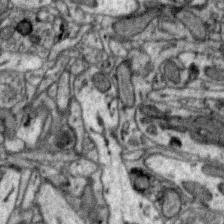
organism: Zebra finch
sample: Brain